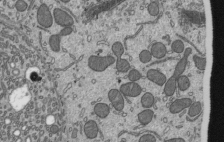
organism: Mouse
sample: Mouse epididymis efferent ductule cilia